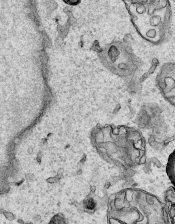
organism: Human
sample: Mitochondria in HCT116 cells